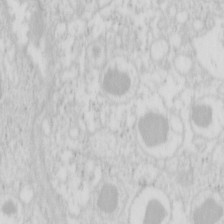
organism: Mouse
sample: Pancreas